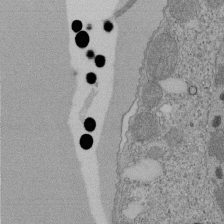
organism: Tetrahymena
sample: Cilia in tetrahymena